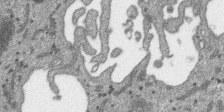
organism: Human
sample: Lung epithelial cells infected with SARS-CoV-2